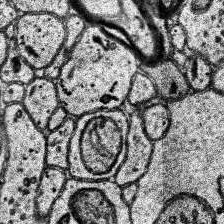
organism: Human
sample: Temporal Lobe